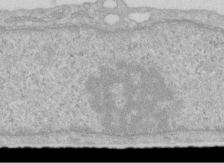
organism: Human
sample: Centriole in RPE cells